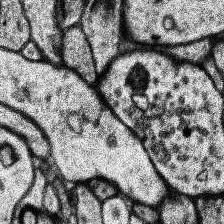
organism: Human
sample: Temporal Lobe